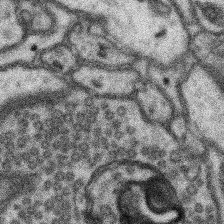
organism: Mouse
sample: Somatosensory cortex neuropil